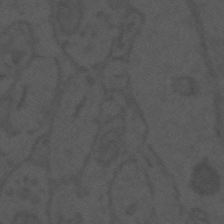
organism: Mouse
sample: Suprachiasmatic nucleus